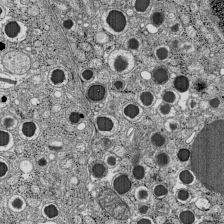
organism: C57BL Mouse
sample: Pancreatic islet